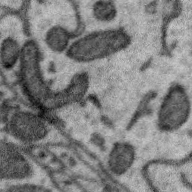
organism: Zebra finch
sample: Brain